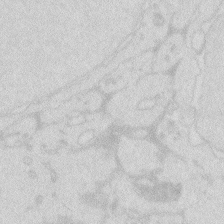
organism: Zebrafish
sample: Macrophage